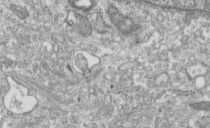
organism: Human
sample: Centriole in fibroblast cells